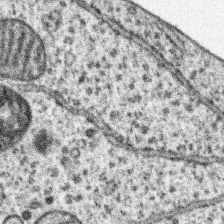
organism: Human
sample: HeLa cells